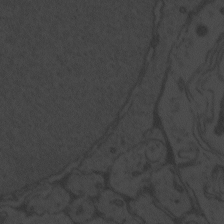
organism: Zebrafish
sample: Macrophage infected with Toxoplasma gondii